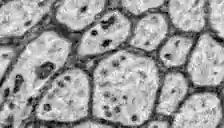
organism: Zebrafish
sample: Brain